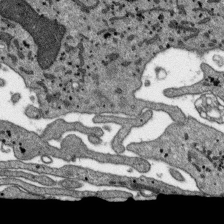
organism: Human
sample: Lung epithelial cells, uninfected (mock) control